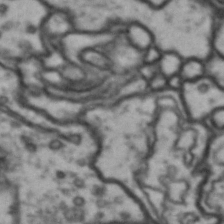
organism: Drosophila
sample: Brain